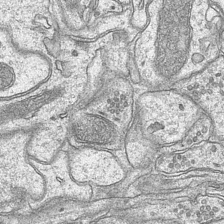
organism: Mouse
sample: CA1 Hippocampus